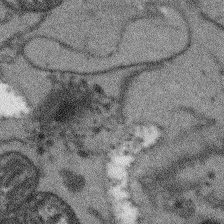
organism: Arabidopsis thaliana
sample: Root tip